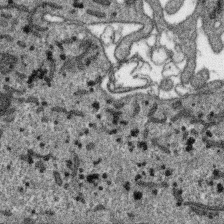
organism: Human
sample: Lung epithelial cells infected with SARS-CoV-2